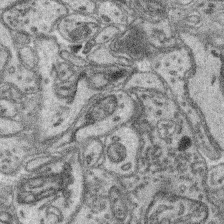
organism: Mouse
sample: Retina